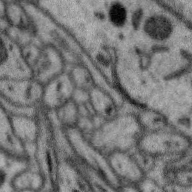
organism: Zebra finch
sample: Brain